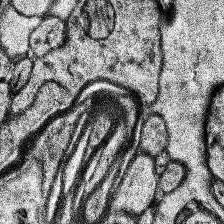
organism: Human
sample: Temporal Lobe